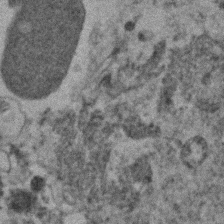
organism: Human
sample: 1205lu cells